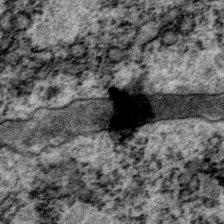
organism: P. pacificus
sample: Pharynx